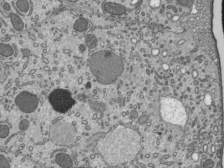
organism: Mouse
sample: Mouse epididymis efferent ductule cilia